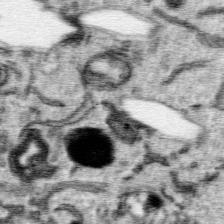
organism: Human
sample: HeLa cells